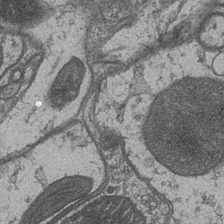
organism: Drosophila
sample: Optic medulla